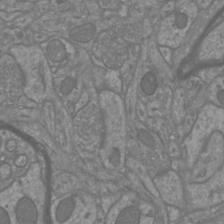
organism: Mouse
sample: Cortical neurons